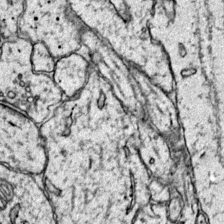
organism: Mouse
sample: Primary visual cortex